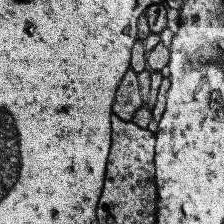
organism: Human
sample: Temporal Lobe